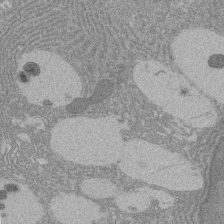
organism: Rat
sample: Salivary granule